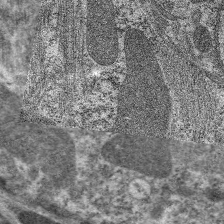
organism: C. elegans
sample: Pharynx